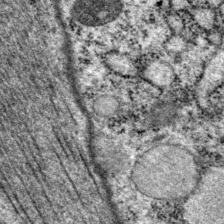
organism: P. pacificus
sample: Pharynx